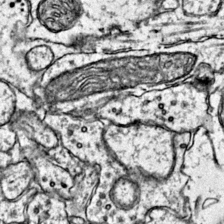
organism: Mouse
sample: Primary visual cortex